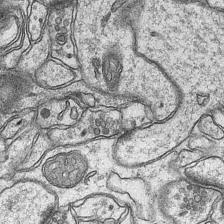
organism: Mouse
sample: CA1 Hippocampus